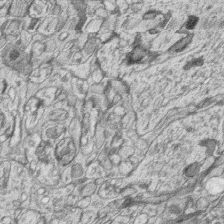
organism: Zebrafish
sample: synaptic ribbons in rod cells and cone cells